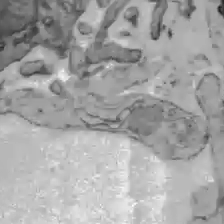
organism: C57BL Mouse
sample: Liver